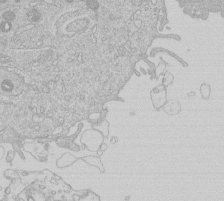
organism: Human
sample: Macrophage cells